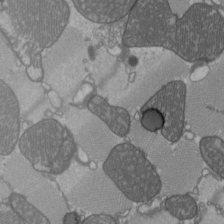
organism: C57BL Mouse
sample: Heart